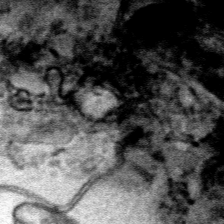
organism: Human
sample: Mitochondria in HCT116 cells